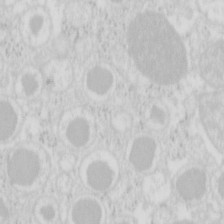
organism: Mouse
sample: Pancreas